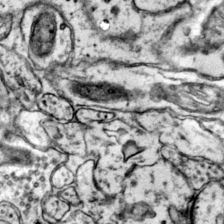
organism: Mouse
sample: Primary visual cortex